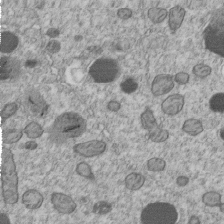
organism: C. elegans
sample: C. elegans embryo early stage